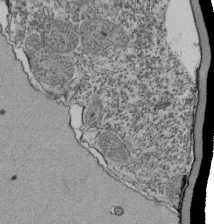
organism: Tetrahymena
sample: Cilia in tetrahymena